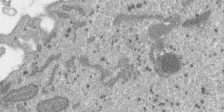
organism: Human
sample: Lung epithelial cells infected with SARS-CoV-2